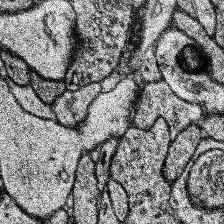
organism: Human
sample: Temporal Lobe